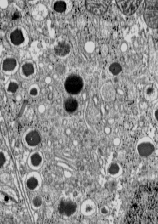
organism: C57BL Mouse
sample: Pancreatic islet